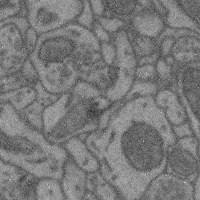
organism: Mouse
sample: Cerebral cortex